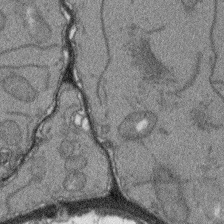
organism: Arabidopsis thaliana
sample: Root tip